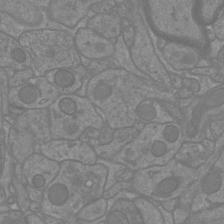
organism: Mouse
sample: Cortical neurons